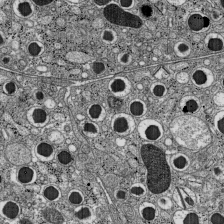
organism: C57BL Mouse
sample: Pancreatic islet